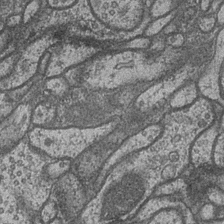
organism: Drosophila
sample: Optic medulla